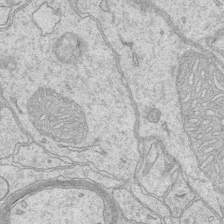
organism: Mouse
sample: CA1 Hippocampus